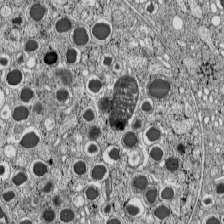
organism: C57BL Mouse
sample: Pancreatic islet